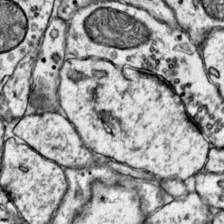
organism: Mouse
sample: Primary visual cortex